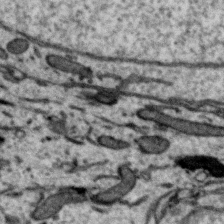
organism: Zebra finch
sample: Brain